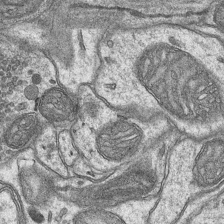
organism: Mouse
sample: CA1 Hippocampus